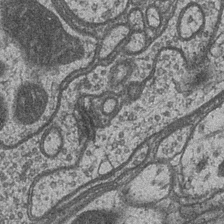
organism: Drosophila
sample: Optic medulla